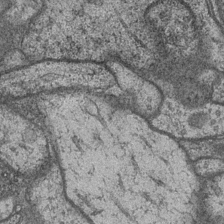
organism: Drosophila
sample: Optic medulla